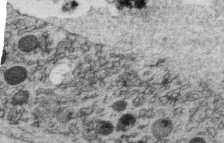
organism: C. elegans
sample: C. elegans oocyte; sperm cells